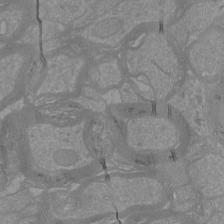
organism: Mouse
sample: Cortical neurons